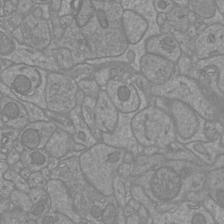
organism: Mouse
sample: Cortical neurons